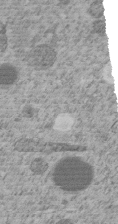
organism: C. elegans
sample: C. elegans embryo early stage